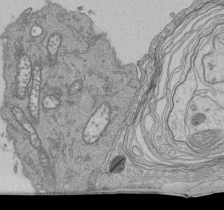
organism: Human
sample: Retinal organoid Rod and Cone cells